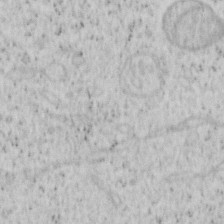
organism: Human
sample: HeLa cells